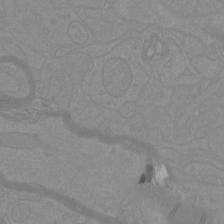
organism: Mouse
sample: Cortical neurons